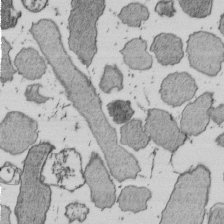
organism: E. coli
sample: Bacterial nucleoid